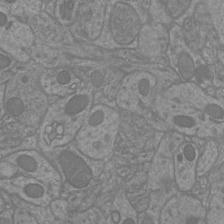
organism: Mouse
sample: Cortical neurons